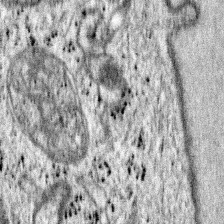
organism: Human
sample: HeLa cells